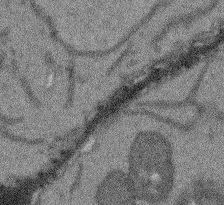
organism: Arabidopsis thaliana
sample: Root tip